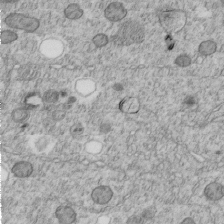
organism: C. elegans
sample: C. elegans embryo early stage